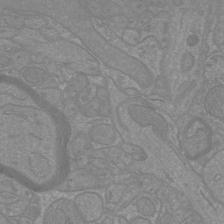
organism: Mouse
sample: Cortical neurons